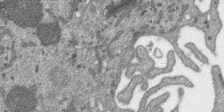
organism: Human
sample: Lung epithelial cells infected with SARS-CoV-2